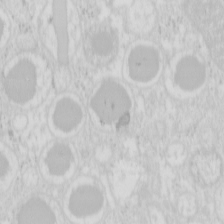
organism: Mouse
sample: Pancreas